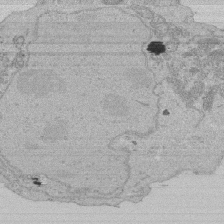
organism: Human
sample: Activated Jurkat CD4+ T cells